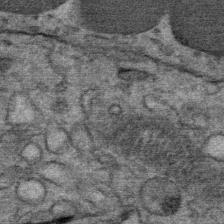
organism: Mouse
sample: Mouse Salivary gland